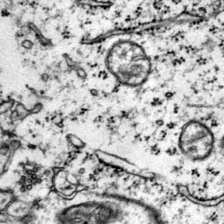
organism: Mouse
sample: Primary visual cortex